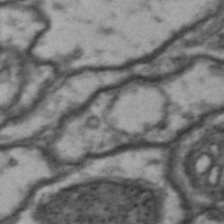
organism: Drosophila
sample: Brain